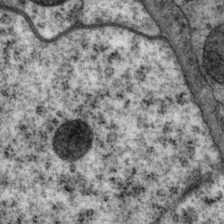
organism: P. pacificus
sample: Pharynx